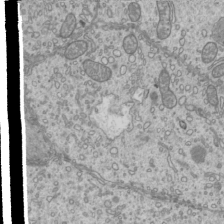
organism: Mouse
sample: Cilia; mouse epididymis